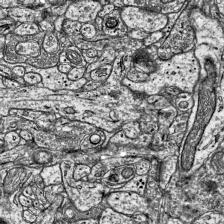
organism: Mouse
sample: Visual Cortex